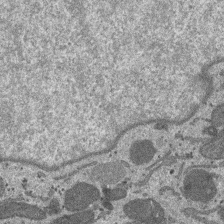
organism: Human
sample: Lung epithelial cells infected with SARS-CoV-2